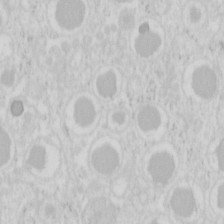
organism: Mouse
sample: Pancreas